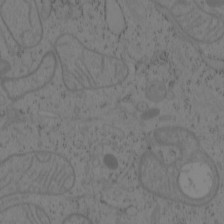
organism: Human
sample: HeLa cells